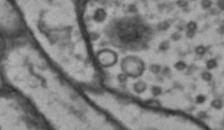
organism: Drosophila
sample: Brain